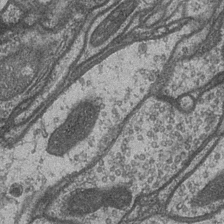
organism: Drosophila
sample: Optic medulla